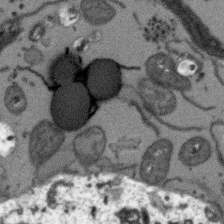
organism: Arabidopsis thaliana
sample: Root tip